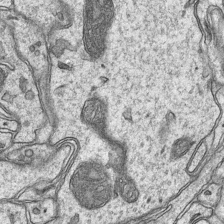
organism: Mouse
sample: CA1 Hippocampus